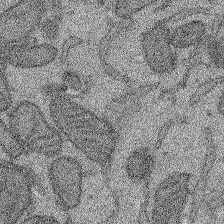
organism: Human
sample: HeLa cells